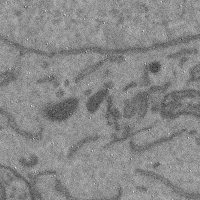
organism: Mouse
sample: Cerebral cortex